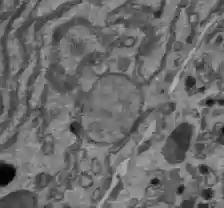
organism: C57BL Mouse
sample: Liver